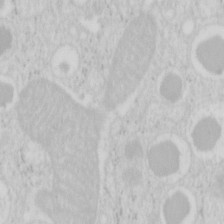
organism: Mouse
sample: Pancreas